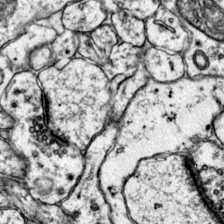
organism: Mouse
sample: Primary visual cortex